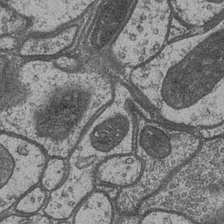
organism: Drosophila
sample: Optic medulla